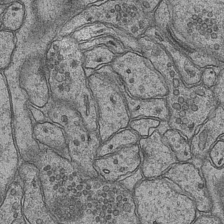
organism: Mouse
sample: CA1 Hippocampus